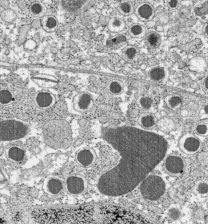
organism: C57BL Mouse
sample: Pancreatic islet